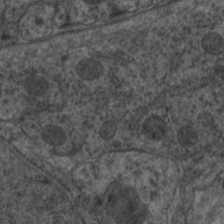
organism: C. elegans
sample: Pharynx